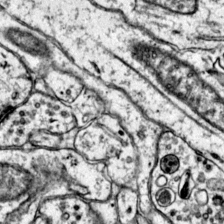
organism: Mouse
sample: Primary visual cortex